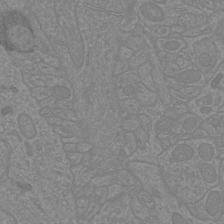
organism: Mouse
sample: Cortical neurons